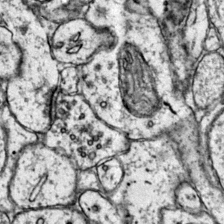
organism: Mouse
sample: Primary visual cortex